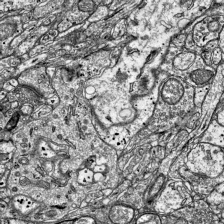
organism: Mouse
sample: Visual Cortex